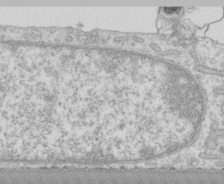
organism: Human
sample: CRL-1474